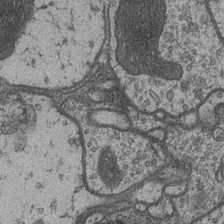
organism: Drosophila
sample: Optic medulla